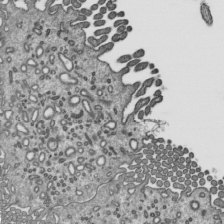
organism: Mouse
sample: Mouse epididymis efferent ductule cilia